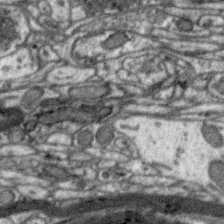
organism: Zebra finch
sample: Brain